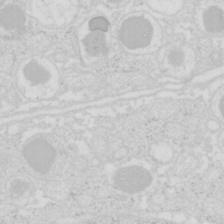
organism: Mouse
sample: Pancreas